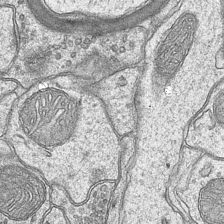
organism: Mouse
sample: CA1 Hippocampus